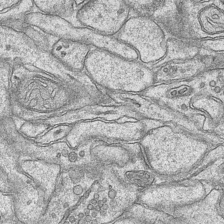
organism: Mouse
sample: CA1 Hippocampus